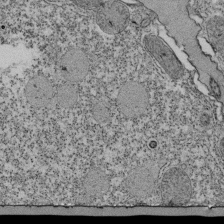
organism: Tetrahymena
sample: Cilia in tetrahymena